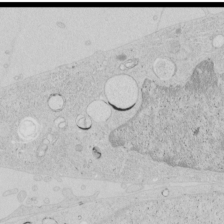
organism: Human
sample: Mitochondria in HCT116 cells